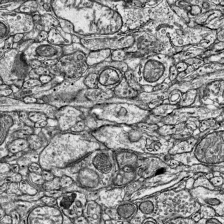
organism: Mouse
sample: Visual Cortex